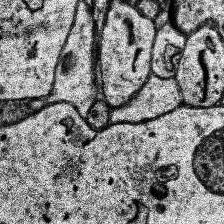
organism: Human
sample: Temporal Lobe